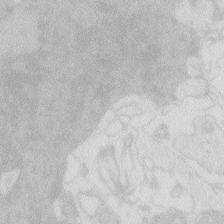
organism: Zebrafish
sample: Macrophage